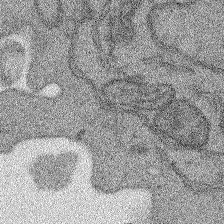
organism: Human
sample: HeLa cells